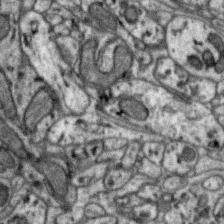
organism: Zebra finch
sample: Brain